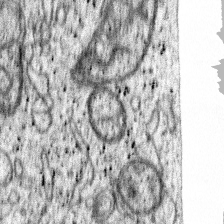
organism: Human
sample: HeLa cells